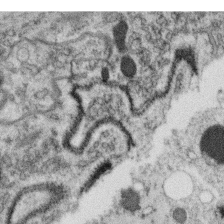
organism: C. elegans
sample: C. elegans oocyte; sperm cells